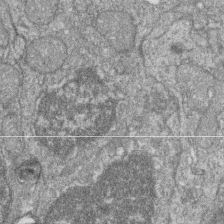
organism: Zebrafish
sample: Cilia; retinal pigment epithelium